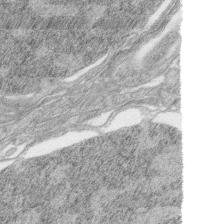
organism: Zebrafish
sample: synaptic ribbons in rod cells and cone cells